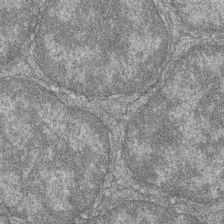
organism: Zebrafish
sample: Cilia; retinal pigment epithelium